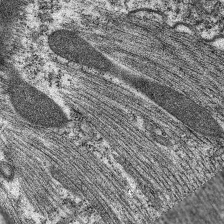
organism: C. elegans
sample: Pharynx